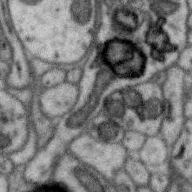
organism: Zebra finch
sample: Brain